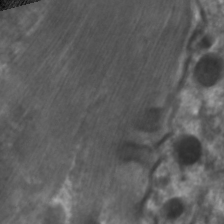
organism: C. elegans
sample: Pharynx